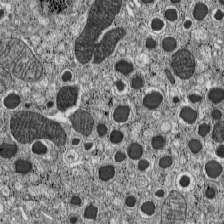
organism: C57BL Mouse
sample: Pancreatic islet